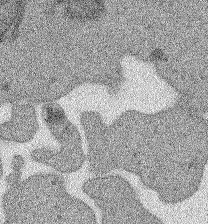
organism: Human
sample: HeLa cells